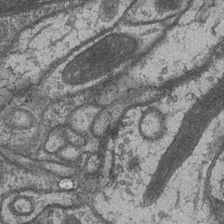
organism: Drosophila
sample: Optic medulla